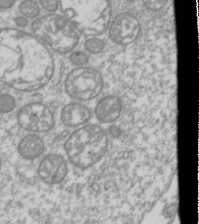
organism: Drosophila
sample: Cell division; meiosis; drosophila spermatocytes